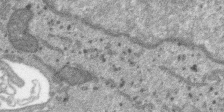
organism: Human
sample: Lung epithelial cells infected with SARS-CoV-2